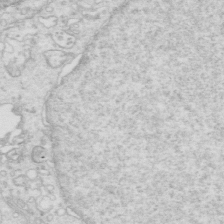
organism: Mouse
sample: Multiciliated cells